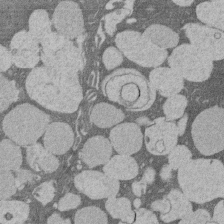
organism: Rat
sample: Salivary granule